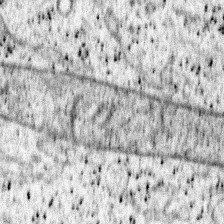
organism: Human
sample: HeLa cells